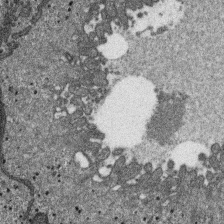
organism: Human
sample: Lung epithelial cells infected with SARS-CoV-2